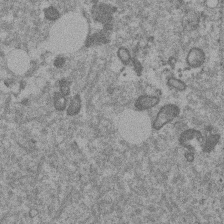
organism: Mouse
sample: Dividing mouse embryo 1 cell stage